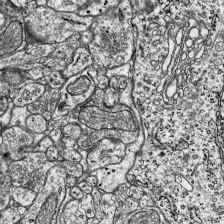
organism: Mouse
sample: Visual Cortex